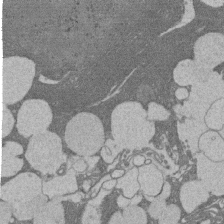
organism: Rat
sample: Salivary granule